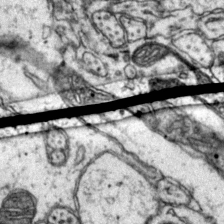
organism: Mouse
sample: Primary visual cortex